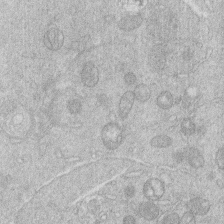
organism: Human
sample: Macrophage cells